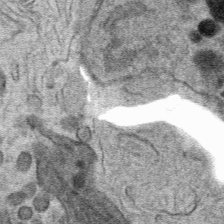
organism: Mouse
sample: Mouse hepatocytes